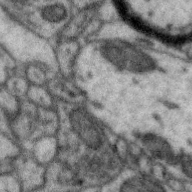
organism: Zebra finch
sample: Brain